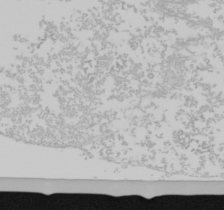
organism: Mouse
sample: Cancer cell death in ED-1 cells